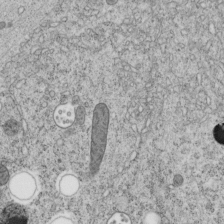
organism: C. elegans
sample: C. elegans embryo early stage